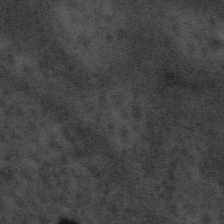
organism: Tuwongella immobilis